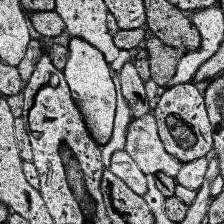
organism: Human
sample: Temporal Lobe